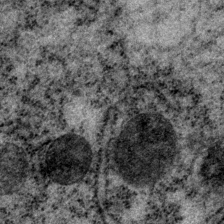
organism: P. pacificus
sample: Pharynx